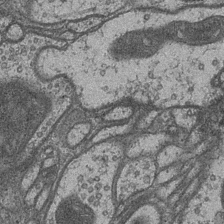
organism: Drosophila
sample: Optic medulla